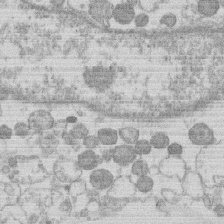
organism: Human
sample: Macrophage cells